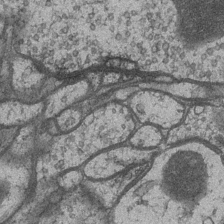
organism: Drosophila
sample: Optic medulla